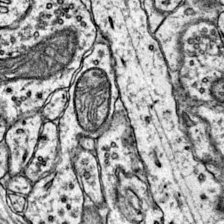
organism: Mouse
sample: Primary visual cortex